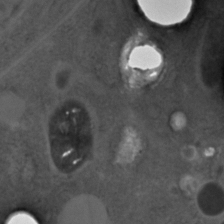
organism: C. elegans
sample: C. elegans embryo